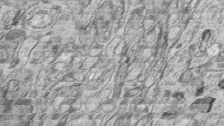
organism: Zebrafish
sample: synaptic ribbons in rod cells and cone cells